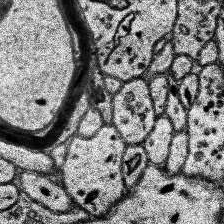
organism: Human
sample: Temporal Lobe